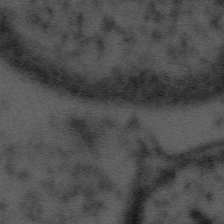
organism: Tuwongella immobilis